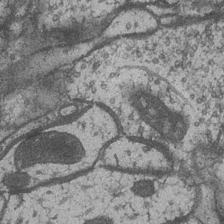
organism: Drosophila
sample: Optic medulla